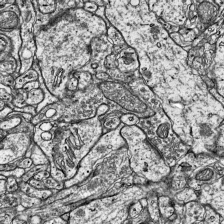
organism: Mouse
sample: Visual Cortex